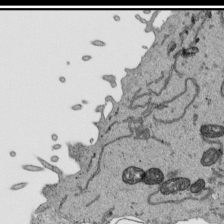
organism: Human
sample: Mitochondria in HCT116 cells